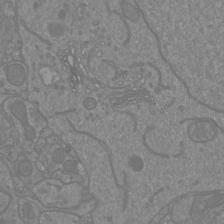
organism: Mouse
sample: Cortical neurons